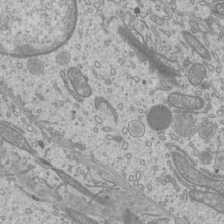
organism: Mouse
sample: Cilia; mouse epididymis